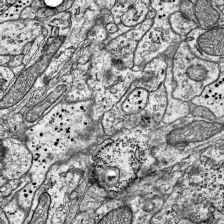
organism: Mouse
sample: Visual Cortex